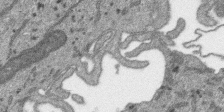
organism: Human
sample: Lung epithelial cells infected with SARS-CoV-2